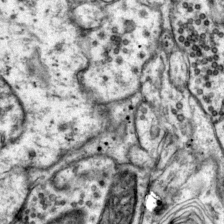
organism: Mouse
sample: Primary visual cortex